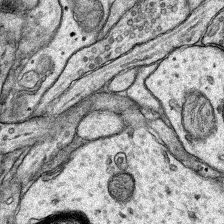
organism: Rat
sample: Hippocampus